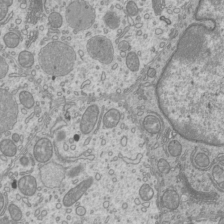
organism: Mouse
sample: Cilia; mouse epididymis